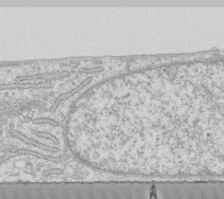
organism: Human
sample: Fibroblast cells